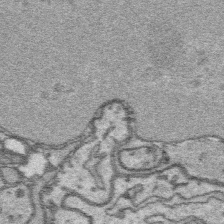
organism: Platynereis dumerilii